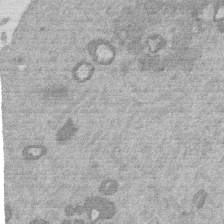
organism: Mouse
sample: Dividing mouse embryo 1 cell stage